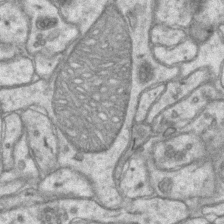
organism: Mouse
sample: CA1 Hippocampus